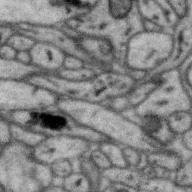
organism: Zebra finch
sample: Brain